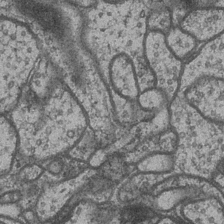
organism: Drosophila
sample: Optic medulla